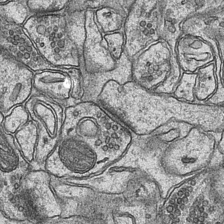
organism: Mouse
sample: CA1 Hippocampus